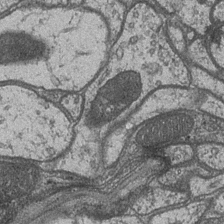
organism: Drosophila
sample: Optic medulla